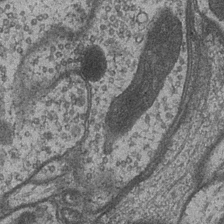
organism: Drosophila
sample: Optic medulla